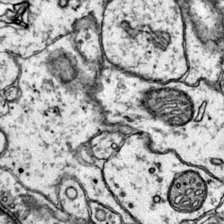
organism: Mouse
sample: Primary visual cortex